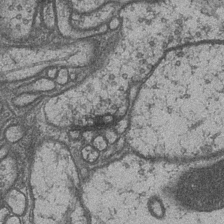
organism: Drosophila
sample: Optic medulla